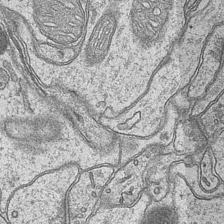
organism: Mouse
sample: CA1 Hippocampus